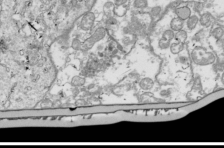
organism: Drosophila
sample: Cell division; meiosis; drosophila spermatocytes